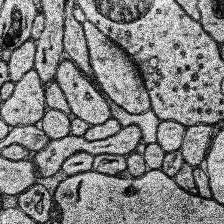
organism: Human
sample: Temporal Lobe